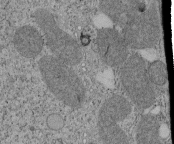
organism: Tetrahymena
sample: Cilia in tetrahymena